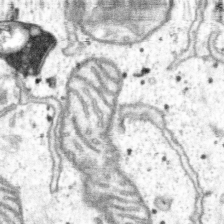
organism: Human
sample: HeLa cells